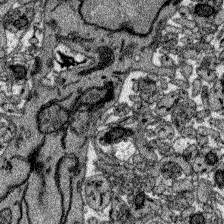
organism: Zebrafish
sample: Larval olfactory bulb